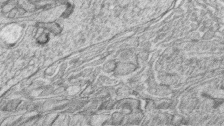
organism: Zebrafish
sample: synaptic ribbons in rod cells and cone cells